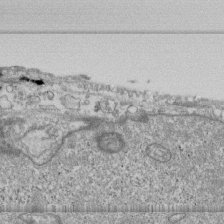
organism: Human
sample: Fibroblast cells